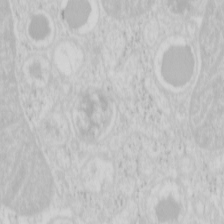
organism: Mouse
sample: Pancreas